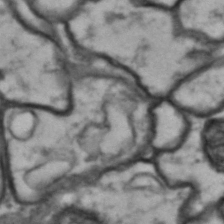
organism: Drosophila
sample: Brain